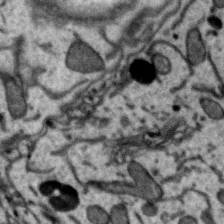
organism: Zebra finch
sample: Brain